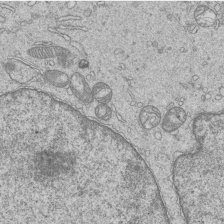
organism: Human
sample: MDA-MB-231 cells